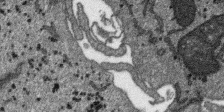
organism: Human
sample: Lung epithelial cells infected with SARS-CoV-2